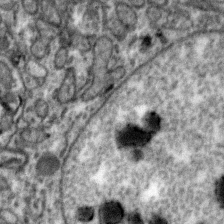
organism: Zebra finch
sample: Brain